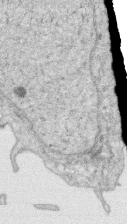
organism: Human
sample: HeLa cell HIV synapse